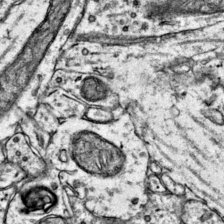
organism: Mouse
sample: Primary visual cortex